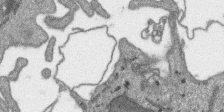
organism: Human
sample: Lung epithelial cells infected with SARS-CoV-2